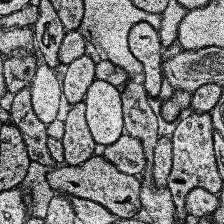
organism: Human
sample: Temporal Lobe